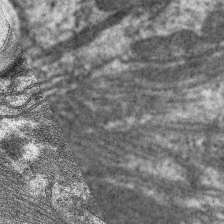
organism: C. elegans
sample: Pharynx